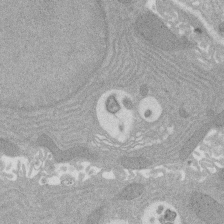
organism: Rat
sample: Salivary granule